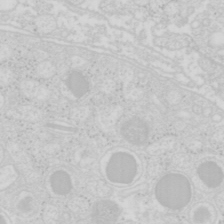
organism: Mouse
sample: Pancreas